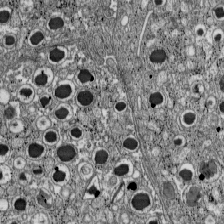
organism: C57BL Mouse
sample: Pancreatic islet